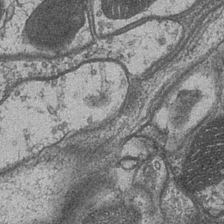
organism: Drosophila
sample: Optic medulla